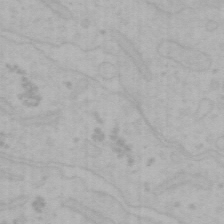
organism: Mouse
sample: Choroid plexus